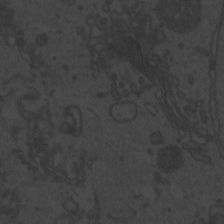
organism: Zebrafish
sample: Macrophage infected with Toxoplasma gondii